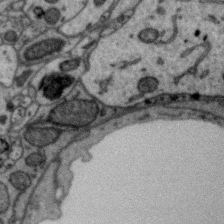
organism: Zebra finch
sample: Brain